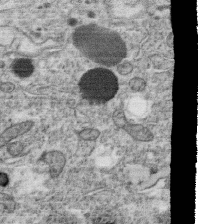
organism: C. elegans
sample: C. elegans oocyte; sperm cells